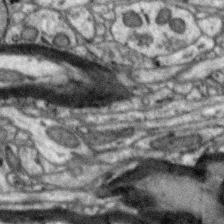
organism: Zebra finch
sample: Brain